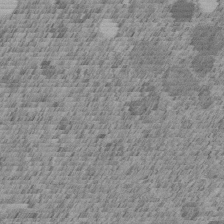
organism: C. elegans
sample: C. elegans embryo early stage